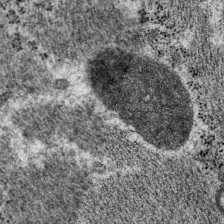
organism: P. pacificus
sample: Pharynx